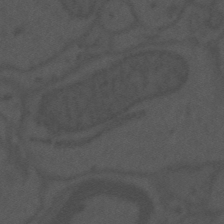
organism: Mouse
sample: Suprachiasmatic nucleus